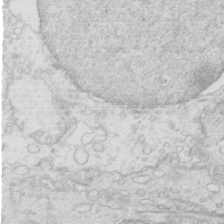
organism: Mouse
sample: Multiciliated cells